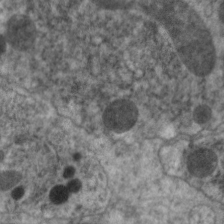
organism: C. elegans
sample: Pharynx